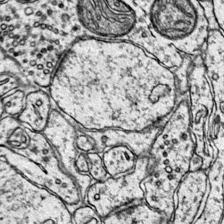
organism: Mouse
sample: Primary visual cortex